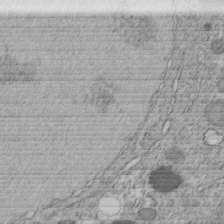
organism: C. elegans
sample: C. elegans embryo early stage